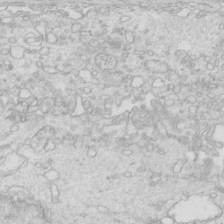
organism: Mouse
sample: Multiciliated cells